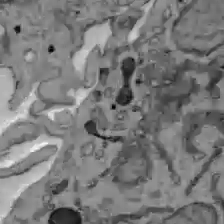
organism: C57BL Mouse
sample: Liver